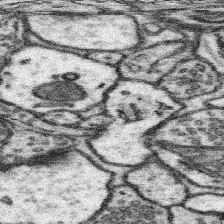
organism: Mouse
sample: Somatosensory cortex neuropil